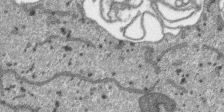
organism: Human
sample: Lung epithelial cells infected with SARS-CoV-2